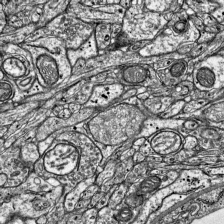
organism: Mouse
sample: Visual Cortex